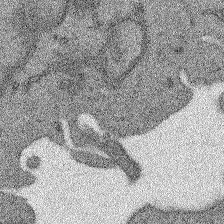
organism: Human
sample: HeLa cells